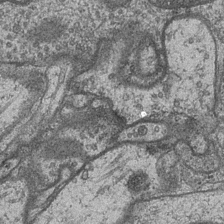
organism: Drosophila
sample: Optic medulla